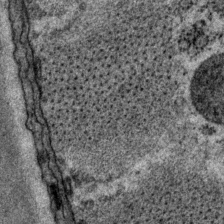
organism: P. pacificus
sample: Pharynx